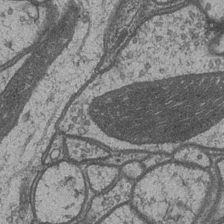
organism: Drosophila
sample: Optic medulla